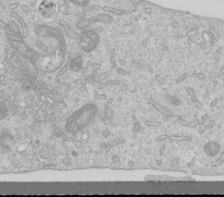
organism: Human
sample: Centriole in RPE cells